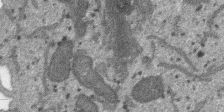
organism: Human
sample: Lung epithelial cells infected with SARS-CoV-2